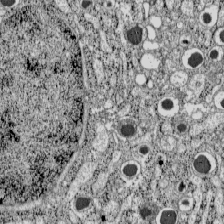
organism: C57BL Mouse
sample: Pancreatic islet